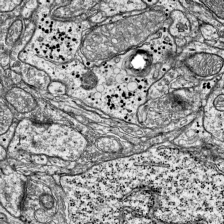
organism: Mouse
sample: Visual Cortex